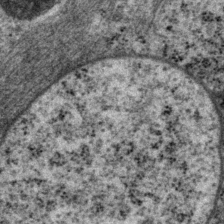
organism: P. pacificus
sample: Pharynx